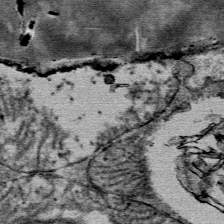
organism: Mouse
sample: Mouse Salivary gland